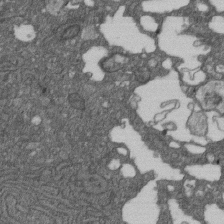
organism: Drosophila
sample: Nephrocyte